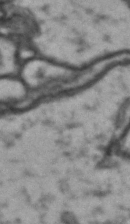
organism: Drosophila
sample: Brain